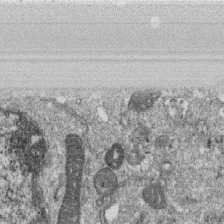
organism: African green monkey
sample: Vero E6 cells infected with SARS-CoV-2